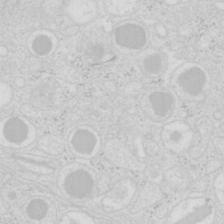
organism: Mouse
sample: Pancreas